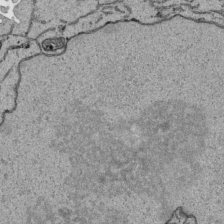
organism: Human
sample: Mitochondria in HCT116 cells